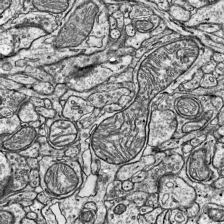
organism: Mouse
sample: Visual Cortex